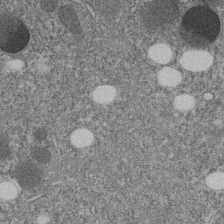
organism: C. elegans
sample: C. elegans embryo early stage